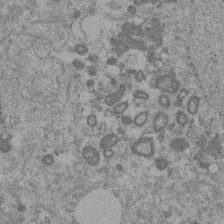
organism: Mouse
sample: Dividing mouse embryo 1 cell stage